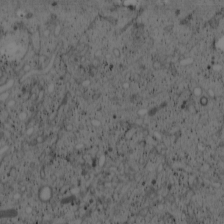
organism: African green monkey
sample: COS-7 cells